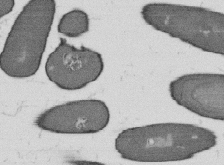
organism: B. subtilis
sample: Bacterial spore